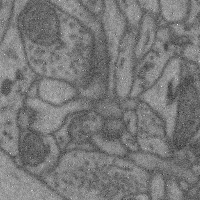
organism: Mouse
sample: Cerebral cortex